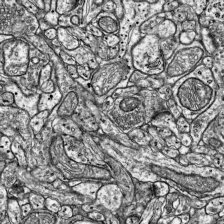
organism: Mouse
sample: Visual Cortex